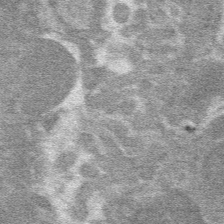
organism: Mouse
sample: Mouse hepatocytes